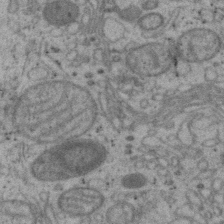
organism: Human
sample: HeLa cells